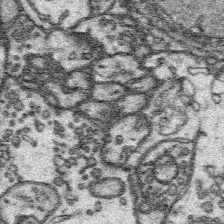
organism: Platynereis dumerilii